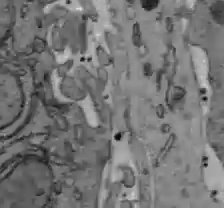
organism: C57BL Mouse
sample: Liver